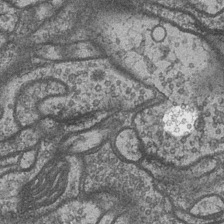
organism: Drosophila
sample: Optic medulla